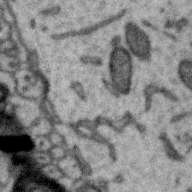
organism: Zebra finch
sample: Brain